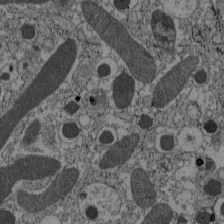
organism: C57BL Mouse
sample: Pancreatic islet